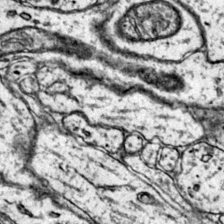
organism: Mouse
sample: Primary visual cortex